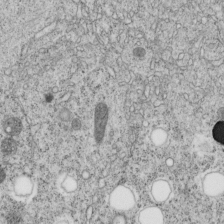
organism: C. elegans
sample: C. elegans embryo early stage